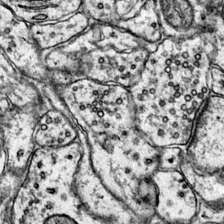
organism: Mouse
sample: Primary visual cortex